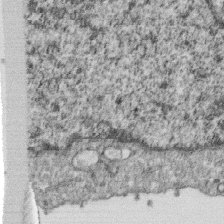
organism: African green monkey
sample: Vero E6 cells infected with SARS-CoV-2